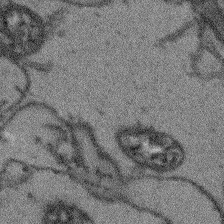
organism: Arabidopsis thaliana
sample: Root tip